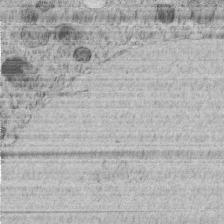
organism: C. elegans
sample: C. elegans embryo early stage